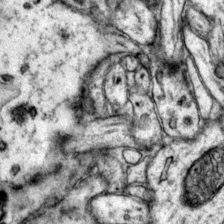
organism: Mouse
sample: Primary visual cortex